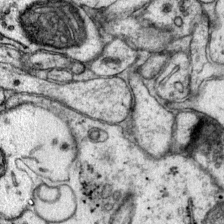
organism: Mouse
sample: Primary visual cortex